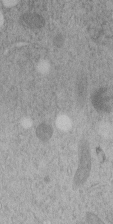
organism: C. elegans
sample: C. elegans embryo early stage